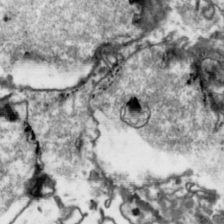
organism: Toxoplasma gondii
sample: Parasites in a vacuole inside a host cell